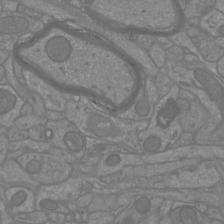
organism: Mouse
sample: Cortical neurons